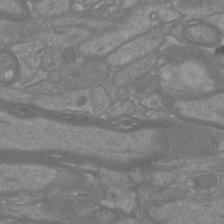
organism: Mouse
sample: Cortical neurons